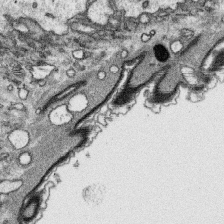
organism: Platynereis dumerilii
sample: Parapodia